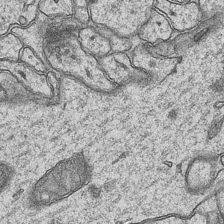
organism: Mouse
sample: CA1 Hippocampus